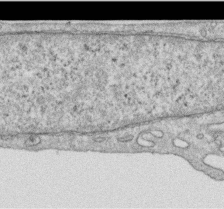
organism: Human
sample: Centriole in RPE cells